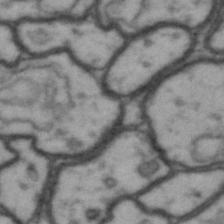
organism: Drosophila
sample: Brain